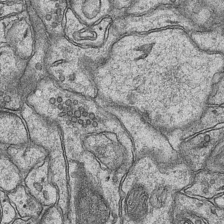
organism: Mouse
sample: CA1 Hippocampus